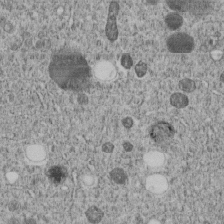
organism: C. elegans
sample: C. elegans embryo early stage